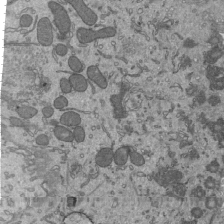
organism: Mouse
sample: Mouse epididymis efferent ductule cilia